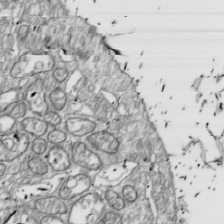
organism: Drosophila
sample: Cell division; meiosis; drosophila spermatocytes